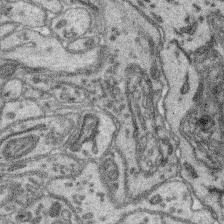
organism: Mouse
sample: Retina